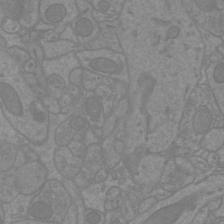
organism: Mouse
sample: Cortical neurons